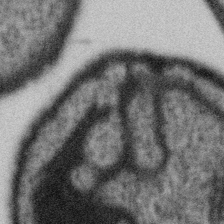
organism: Gemmata obscuriglobus